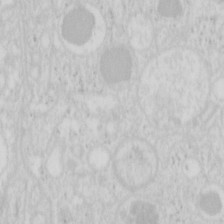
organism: Mouse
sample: Pancreas